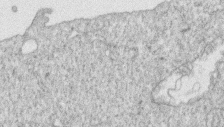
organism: Human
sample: HeLa cell HIV synapse